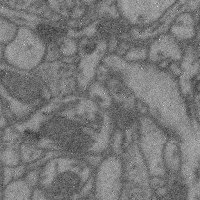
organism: Mouse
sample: Cerebral cortex